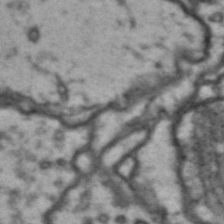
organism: Drosophila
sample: Brain